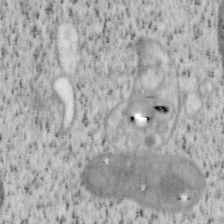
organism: Mouse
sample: OT-I killer T cells with ID8 ovarian cancer cells